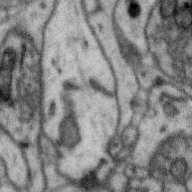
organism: Zebra finch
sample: Brain